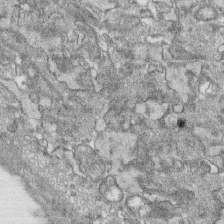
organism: Human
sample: CRL-1474